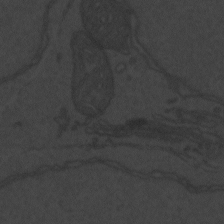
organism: Zebrafish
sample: Macrophage infected with Toxoplasma gondii